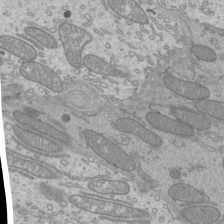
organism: Mouse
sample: Cilia; mouse epididymis